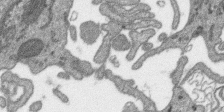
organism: Human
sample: Lung epithelial cells infected with SARS-CoV-2